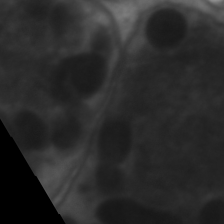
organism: C. elegans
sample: Pharynx